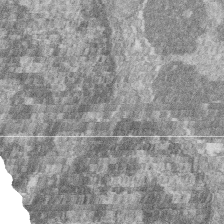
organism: Zebrafish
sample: Cilia; retinal pigment epithelium